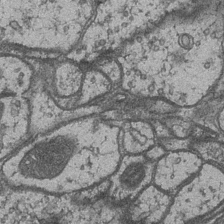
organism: Drosophila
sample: Optic medulla